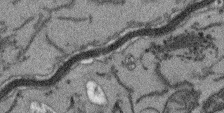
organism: Arabidopsis thaliana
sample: Root tip